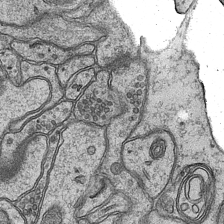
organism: Mouse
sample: CA1 Hippocampus